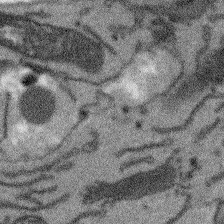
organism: Arabidopsis thaliana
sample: Root tip